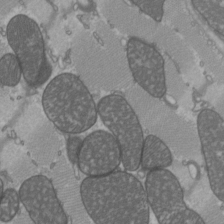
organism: C57BL Mouse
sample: Heart